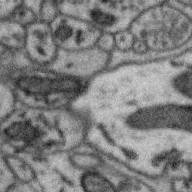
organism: Zebra finch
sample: Brain